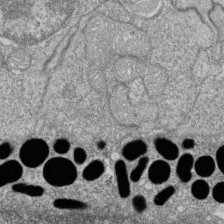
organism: Zebrafish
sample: Cilia; retinal pigment epithelium